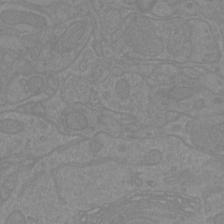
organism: Mouse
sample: Cortical neurons